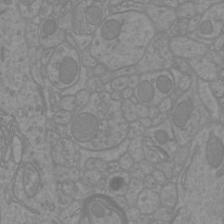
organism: Mouse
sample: Cortical neurons